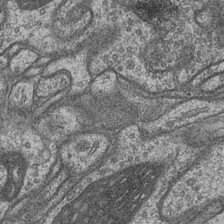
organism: Drosophila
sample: Optic medulla